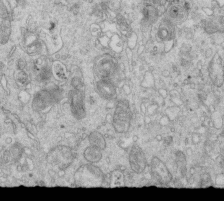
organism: Mouse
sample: Multiciliated cells